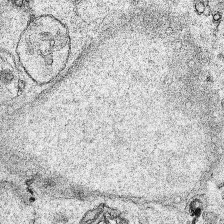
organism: Human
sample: Mitochondria in HCT116 cells